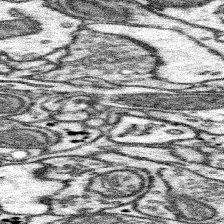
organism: Mouse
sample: Somatosensory cortex neuropil